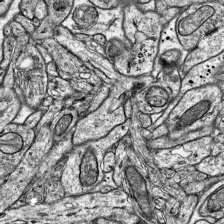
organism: Mouse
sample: Visual Cortex